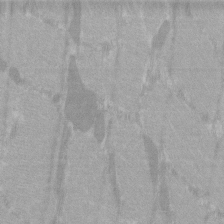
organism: C57BL Mouse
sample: Tibialis anterior muscle cell